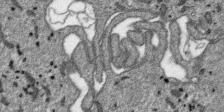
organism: Human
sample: Lung epithelial cells, uninfected (mock) control